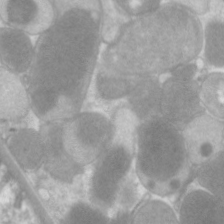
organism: C. elegans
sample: Pharynx